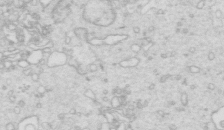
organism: Mouse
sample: Multiciliated cells